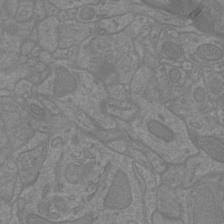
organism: Mouse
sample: Cortical neurons